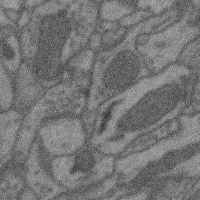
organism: Mouse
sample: Cerebral cortex